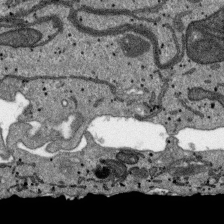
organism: Human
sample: Lung epithelial cells, uninfected (mock) control